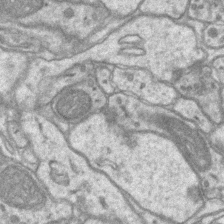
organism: Mouse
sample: CA1 Hippocampus